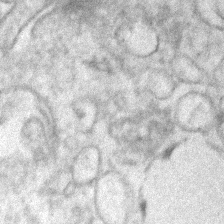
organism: Human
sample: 1205lu cells